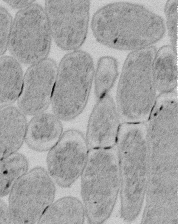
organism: E. coli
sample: Bacterial nucleoid